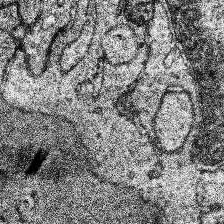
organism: Human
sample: Temporal Lobe